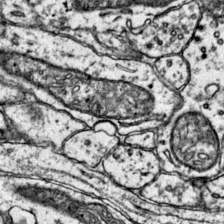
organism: Mouse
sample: Primary visual cortex